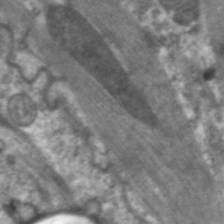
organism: C. elegans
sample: Pharynx